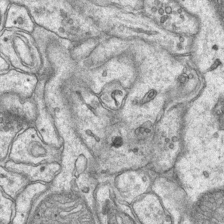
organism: Mouse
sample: CA1 Hippocampus